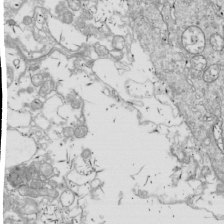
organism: Drosophila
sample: Cell division; meiosis; drosophila spermatocytes